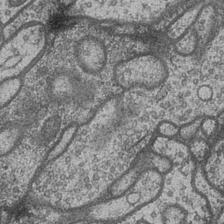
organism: Drosophila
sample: Optic medulla